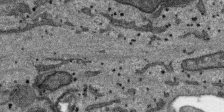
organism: Human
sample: Lung epithelial cells, uninfected (mock) control